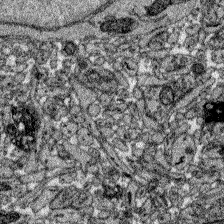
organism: Zebrafish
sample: Larval olfactory bulb